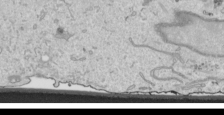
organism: Human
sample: Mitochondria in HCT116 cells